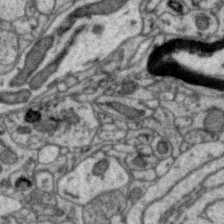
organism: Zebra finch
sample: Brain